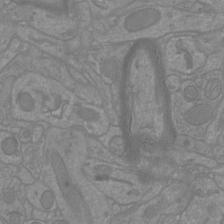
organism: Mouse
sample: Cortical neurons